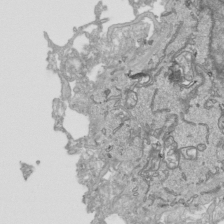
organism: Human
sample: Mitochondria in HCT116 cells